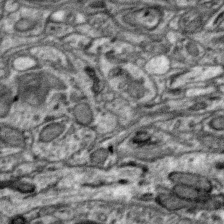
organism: Zebra finch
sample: Brain